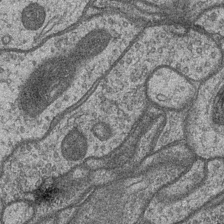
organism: Drosophila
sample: Optic medulla